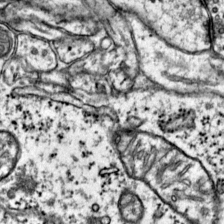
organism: Mouse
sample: Primary visual cortex